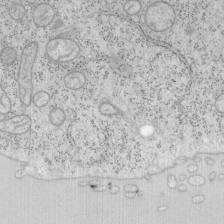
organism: Mouse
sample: OT-I killer T cells with ID8 ovarian cancer cells